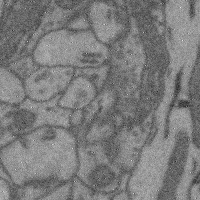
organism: Mouse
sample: Cerebral cortex